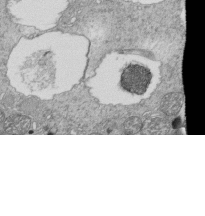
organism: Tetrahymena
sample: Cilia in tetrahymena